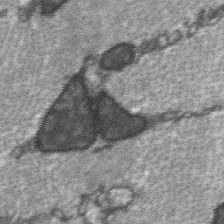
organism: C57BL Mouse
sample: Soleus